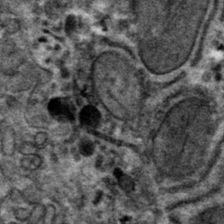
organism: Mouse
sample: Mouse hepatocytes